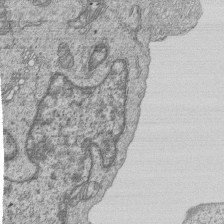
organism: Human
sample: MDA-MB-231 cells